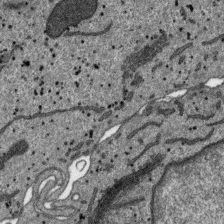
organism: Human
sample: Lung epithelial cells, uninfected (mock) control